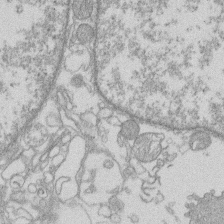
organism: Human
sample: Macrophage cells